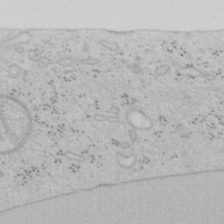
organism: Human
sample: HeLa cells